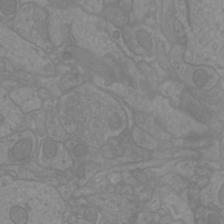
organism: Mouse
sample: Cortical neurons